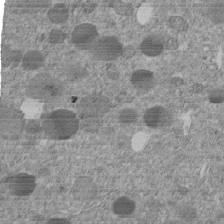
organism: C. elegans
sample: C. elegans embryo early stage